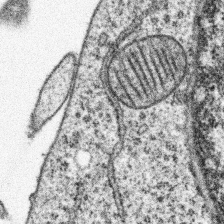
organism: Human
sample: HeLa cells